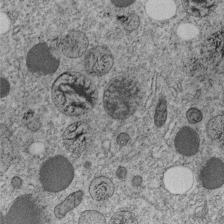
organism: C. elegans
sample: C. elegans embryo early stage